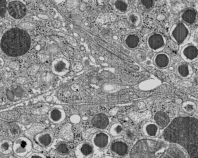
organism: C57BL Mouse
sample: Pancreatic islet